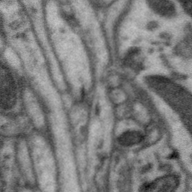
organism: Zebra finch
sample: Brain